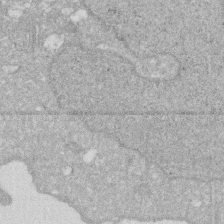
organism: Human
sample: HIV infected U937 cells